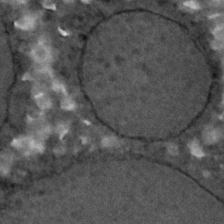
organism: C. elegans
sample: C. elegans embryo